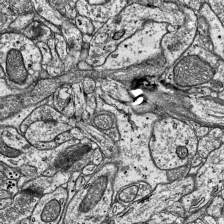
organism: Mouse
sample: Visual Cortex